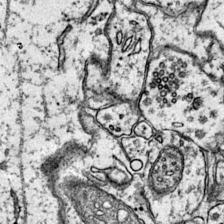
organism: Mouse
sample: Primary visual cortex